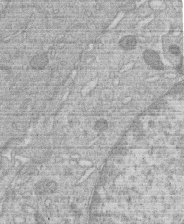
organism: Human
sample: Macrophage cells